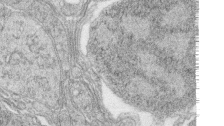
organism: Zebrafish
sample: synaptic ribbons in rod cells and cone cells